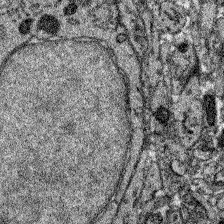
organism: Zebrafish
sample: Larval olfactory bulb